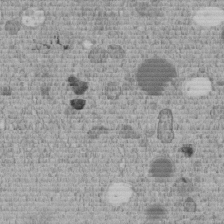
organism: C. elegans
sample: C. elegans embryo early stage